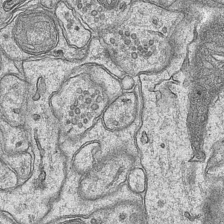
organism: Mouse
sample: CA1 Hippocampus